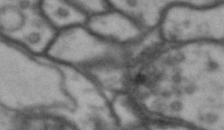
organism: Drosophila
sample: Brain